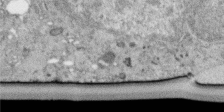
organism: Human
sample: Centriole in RPE cells